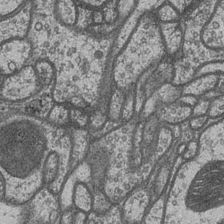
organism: Drosophila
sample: Optic medulla